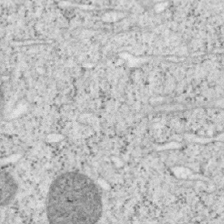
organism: Mouse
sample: OT-I killer T cells with ID8 ovarian cancer cells